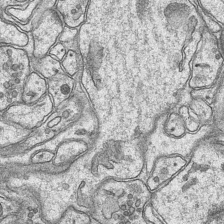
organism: Mouse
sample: CA1 Hippocampus